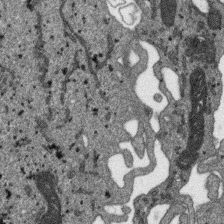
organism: Human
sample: Lung epithelial cells infected with SARS-CoV-2